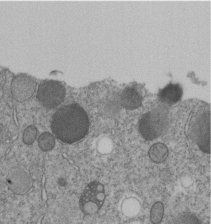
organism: C. elegans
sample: C. elegans embryo early stage